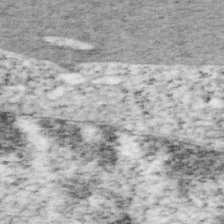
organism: Mouse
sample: OT-I killer T cells with ID8 ovarian cancer cells